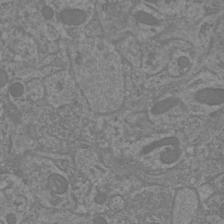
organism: Mouse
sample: Cortical neurons